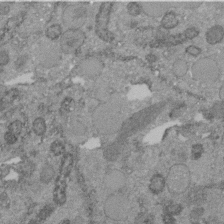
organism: C. elegans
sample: C. elegans embryo early stage